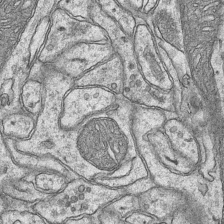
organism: Mouse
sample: CA1 Hippocampus